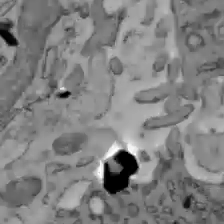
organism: C57BL Mouse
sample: Liver